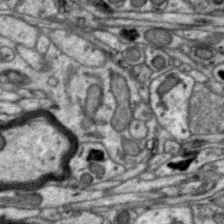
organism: Zebra finch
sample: Brain